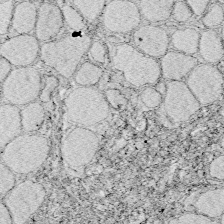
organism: Zebrafish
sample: Whole-Brain